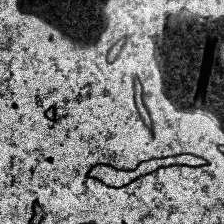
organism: Human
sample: Temporal Lobe